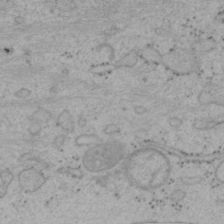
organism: Human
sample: HeLa cells